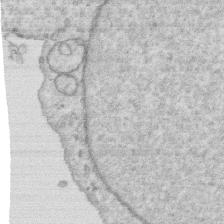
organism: Human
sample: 1205lu cells